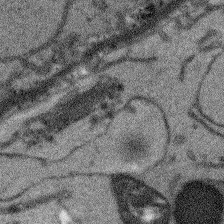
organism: Arabidopsis thaliana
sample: Root tip